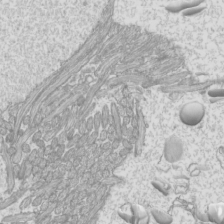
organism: Mouse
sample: Cilia; mouse epididymis